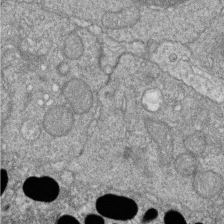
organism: Zebrafish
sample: Cilia; retinal pigment epithelium